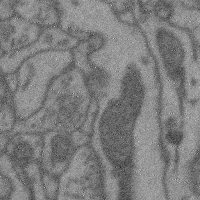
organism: Mouse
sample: Cerebral cortex